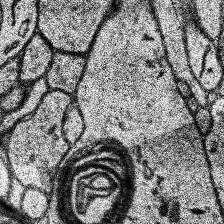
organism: Human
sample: Temporal Lobe